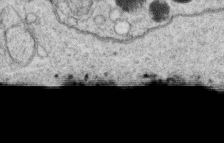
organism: C. elegans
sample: C. elegans oocyte; sperm cells